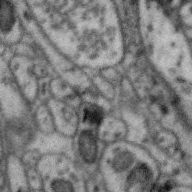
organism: Zebra finch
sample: Brain